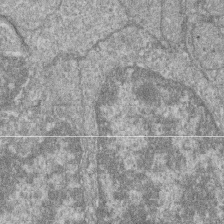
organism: Zebrafish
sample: Cilia; retinal pigment epithelium